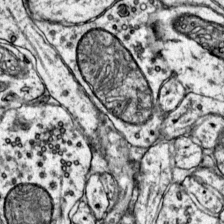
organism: Mouse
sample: Primary visual cortex